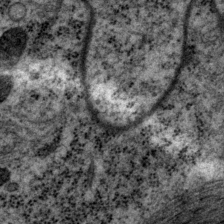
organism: P. pacificus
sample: Pharynx